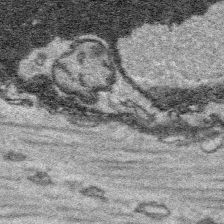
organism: Platynereis dumerilii